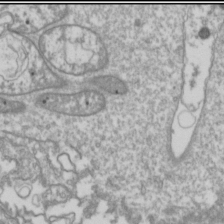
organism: Drosophila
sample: Cell division; meiosis; drosophila spermatocytes